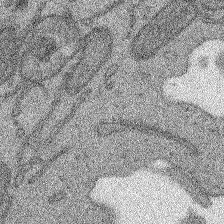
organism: Human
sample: HeLa cells